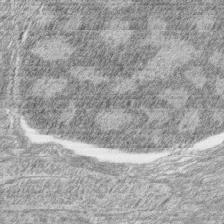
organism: Zebrafish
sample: synaptic ribbons in rod cells and cone cells